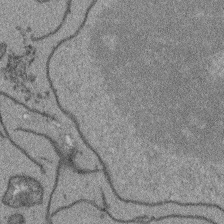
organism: Arabidopsis thaliana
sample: Root tip